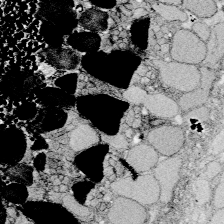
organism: Zebrafish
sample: Whole-Brain